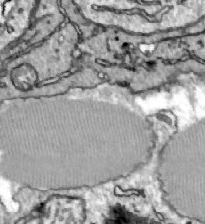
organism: Zebrafish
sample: Actinotrichia fibers